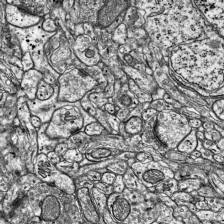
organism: Mouse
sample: Visual Cortex